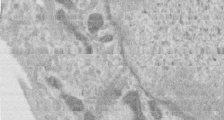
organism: Human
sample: Centriole in RPE cells